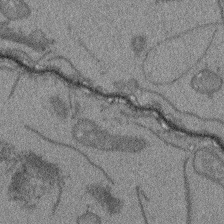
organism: Arabidopsis thaliana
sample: Root tip